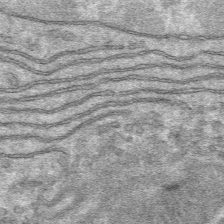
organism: Mouse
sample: Mouse hepatocytes